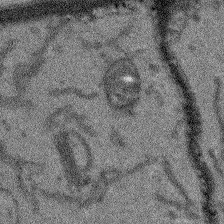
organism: Arabidopsis thaliana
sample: Root tip